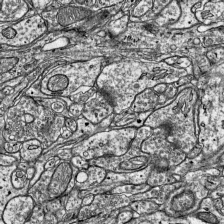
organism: Mouse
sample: Visual Cortex